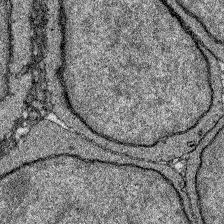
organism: Zebrafish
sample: Larval olfactory bulb